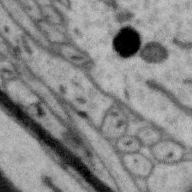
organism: Zebra finch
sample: Brain